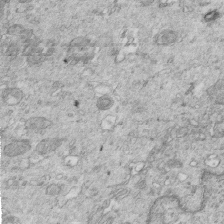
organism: Mouse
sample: Multiciliated cells